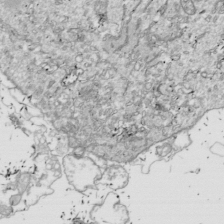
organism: Drosophila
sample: Cell division; meiosis; drosophila spermatocytes